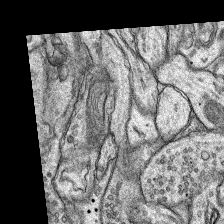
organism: Rat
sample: Hippocampus